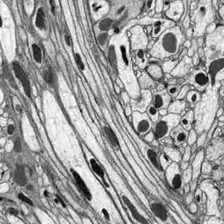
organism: Drosophila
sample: Optic lobe